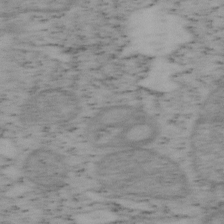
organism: Mouse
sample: OT-I killer T cells with ID8 ovarian cancer cells